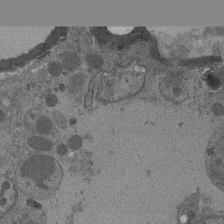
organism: Drosophila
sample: Antenna